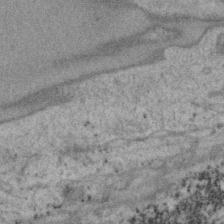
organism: Human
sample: HeLa cells